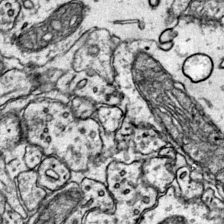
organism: Mouse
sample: Primary visual cortex